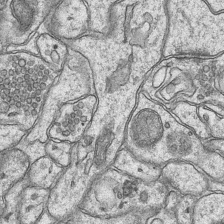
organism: Mouse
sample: CA1 Hippocampus